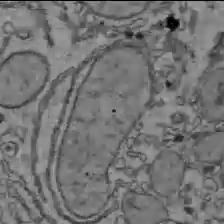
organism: C57BL Mouse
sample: Liver